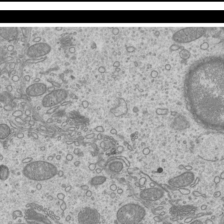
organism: Mouse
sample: Cilia; mouse epididymis